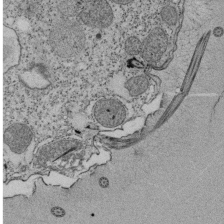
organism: Tetrahymena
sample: Cilia in tetrahymena